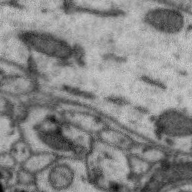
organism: Zebra finch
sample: Brain